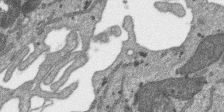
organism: Human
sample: Lung epithelial cells infected with SARS-CoV-2